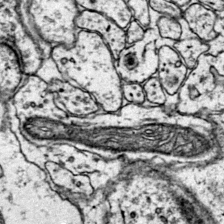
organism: Mouse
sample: Primary visual cortex